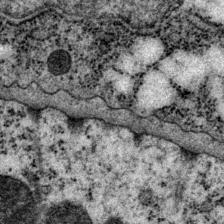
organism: P. pacificus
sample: Pharynx